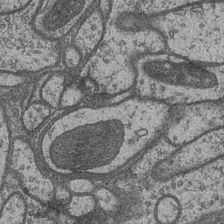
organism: Drosophila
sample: Optic medulla